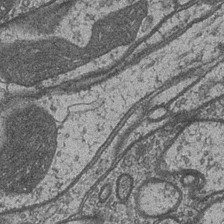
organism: Drosophila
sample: Optic medulla